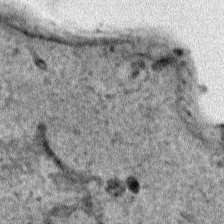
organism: Human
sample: Mitochondria in HCT116 cells